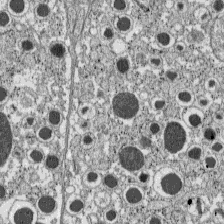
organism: C57BL Mouse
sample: Pancreatic islet